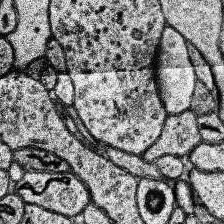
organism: Human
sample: Temporal Lobe